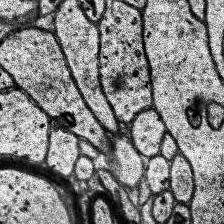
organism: Human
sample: Temporal Lobe